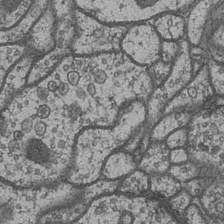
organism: Drosophila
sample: Optic medulla